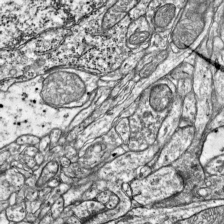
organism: Mouse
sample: Visual Cortex